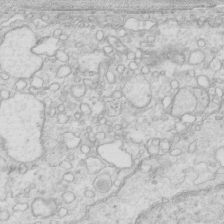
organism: Mouse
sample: Multiciliated cells